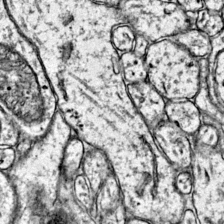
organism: Mouse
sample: Primary visual cortex